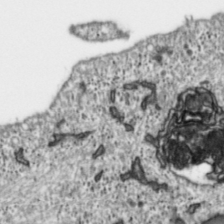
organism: Toxoplasma gondii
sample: Parasites in a vacuole inside a host cell